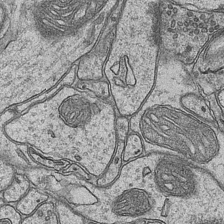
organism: Mouse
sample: CA1 Hippocampus